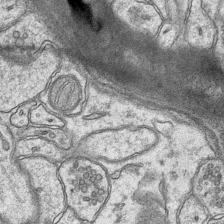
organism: Mouse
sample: CA1 Hippocampus